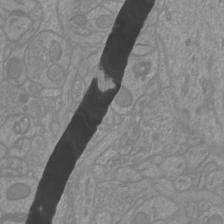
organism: Mouse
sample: Cortical neurons